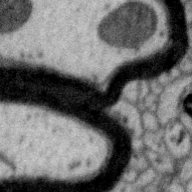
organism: Zebra finch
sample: Brain